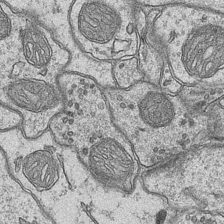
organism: Mouse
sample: CA1 Hippocampus